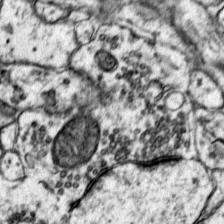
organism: Mouse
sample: Primary visual cortex